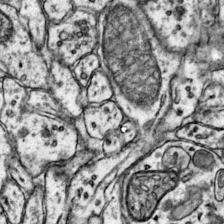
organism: Mouse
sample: Primary visual cortex